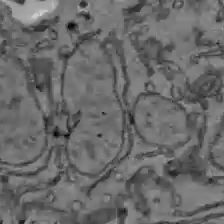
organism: C57BL Mouse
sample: Liver